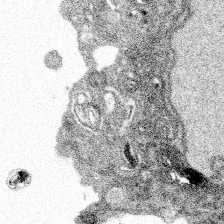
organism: Spongilla lacustris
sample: Multiple